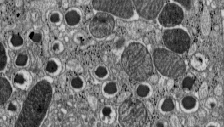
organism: C57BL Mouse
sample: Pancreatic islet